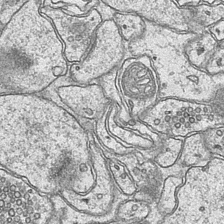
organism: Mouse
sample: CA1 Hippocampus